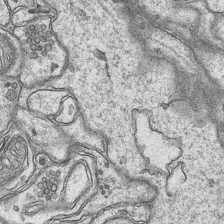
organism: Mouse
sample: CA1 Hippocampus